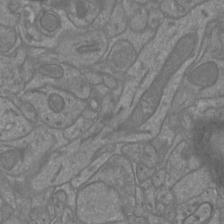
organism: Mouse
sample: Cortical neurons